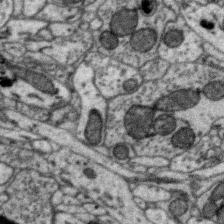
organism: Zebra finch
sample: Brain